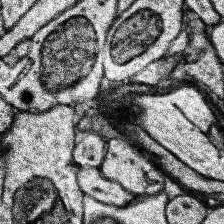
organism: Human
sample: Temporal Lobe